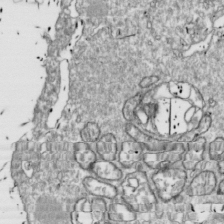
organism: Drosophila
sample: Cell division; meiosis; drosophila spermatocytes